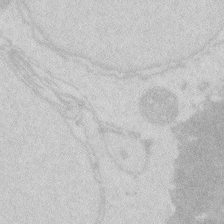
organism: Zebrafish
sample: Macrophage